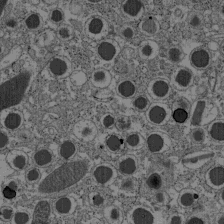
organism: C57BL Mouse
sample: Pancreatic islet